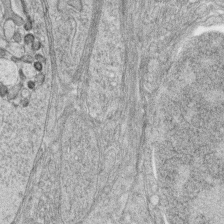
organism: Zebrafish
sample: synaptic ribbons in rod cells and cone cells